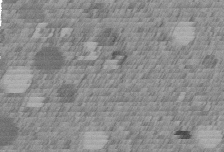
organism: C. elegans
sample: C. elegans embryo early stage